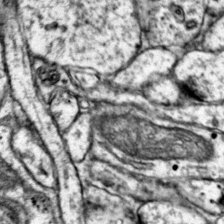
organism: Mouse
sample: Primary visual cortex